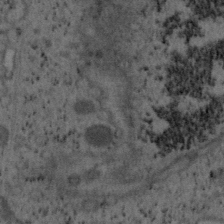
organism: Human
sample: HeLa cells